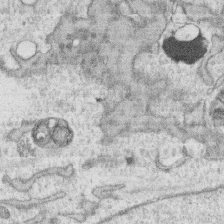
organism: Human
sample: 1205lu cells